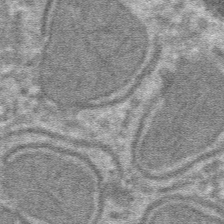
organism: Mouse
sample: Mouse hepatocytes